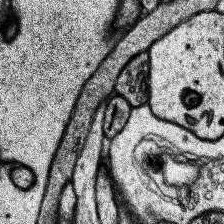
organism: Human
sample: Temporal Lobe